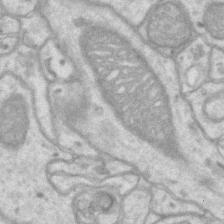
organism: Mouse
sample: CA1 Hippocampus